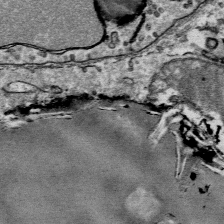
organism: Mouse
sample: Mouse Salivary gland